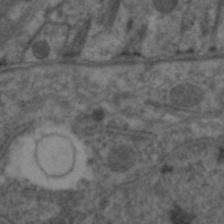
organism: C. elegans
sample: Pharynx